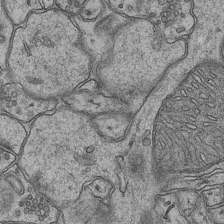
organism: Mouse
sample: CA1 Hippocampus